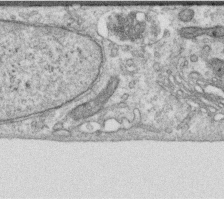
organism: Human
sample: Centriole in RPE cells